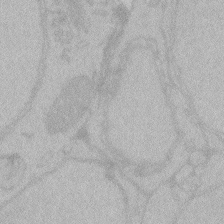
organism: Zebrafish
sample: Macrophage infected with Toxoplasma gondii